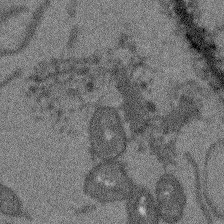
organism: Arabidopsis thaliana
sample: Root tip